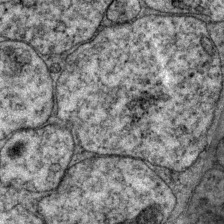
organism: P. pacificus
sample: Pharynx